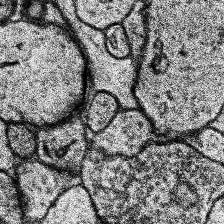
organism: Human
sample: Temporal Lobe